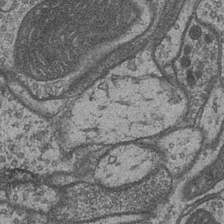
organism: Drosophila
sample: Optic medulla